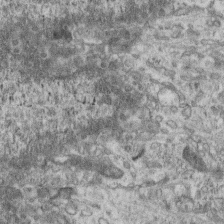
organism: Mouse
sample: Centriole in ependymal cells